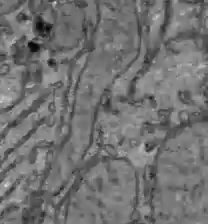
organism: C57BL Mouse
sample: Liver